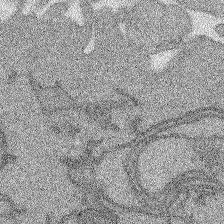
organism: Human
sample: HeLa cells